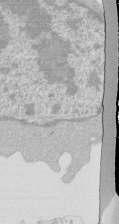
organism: Mouse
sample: Activated Pmel transgenic CD8+ T Cells